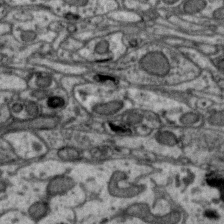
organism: Zebra finch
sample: Brain